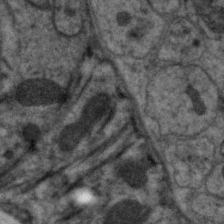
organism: C. elegans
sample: Pharynx